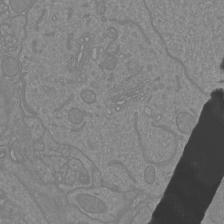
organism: Mouse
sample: Cortical neurons